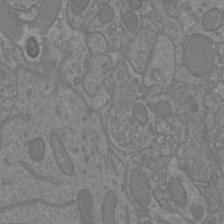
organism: Mouse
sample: Cortical neurons